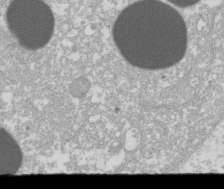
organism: Xenopus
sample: Cilia; centrioles in frog embryo cells